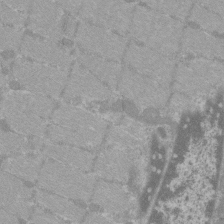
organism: C57BL Mouse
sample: Tibialis anterior muscle cell